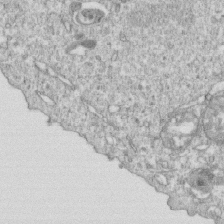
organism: Mouse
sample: Activated OT-1 CD8+ T cells